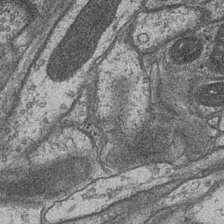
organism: Drosophila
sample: Optic medulla